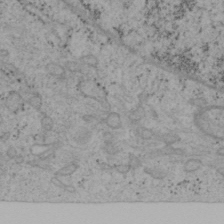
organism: Human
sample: HeLa cells